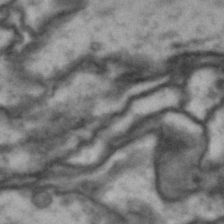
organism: Drosophila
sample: Brain